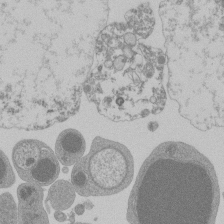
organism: Mouse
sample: Activated Pmel transgenic CD8+ T Cells